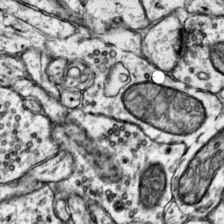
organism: Mouse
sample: Primary visual cortex